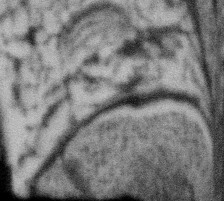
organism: Gemmata obscuriglobus